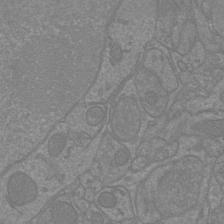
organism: Mouse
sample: Cortical neurons